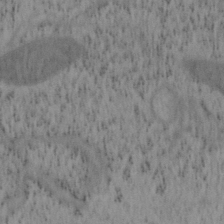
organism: Mouse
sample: OT-I killer T cells with ID8 ovarian cancer cells